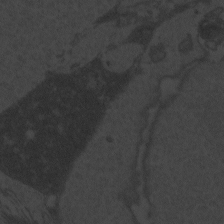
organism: Zebrafish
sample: Macrophage infected with Toxoplasma gondii